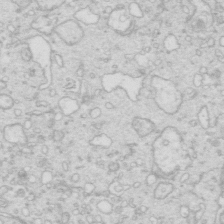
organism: Mouse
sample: Multiciliated cells